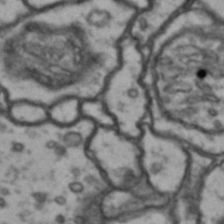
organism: Drosophila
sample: Brain